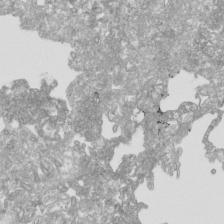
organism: Human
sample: Mitochondria in HCT116 cells